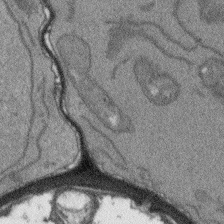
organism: Arabidopsis thaliana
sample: Root tip